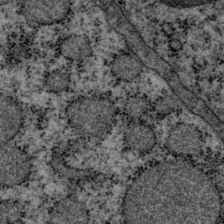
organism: P. pacificus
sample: Pharynx